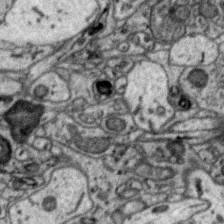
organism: Zebra finch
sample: Brain